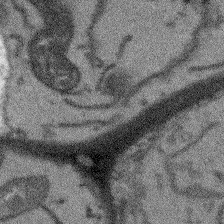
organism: Arabidopsis thaliana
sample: Root tip